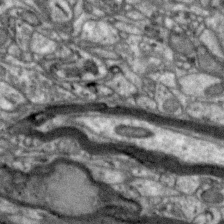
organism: Zebra finch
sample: Brain